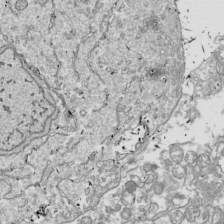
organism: Drosophila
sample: Cell division; meiosis; drosophila spermatocytes